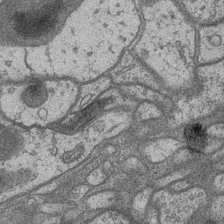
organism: Drosophila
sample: Optic medulla